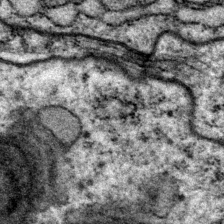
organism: P. pacificus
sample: Pharynx